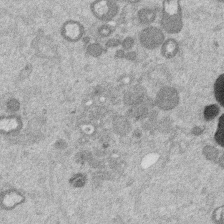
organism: Mouse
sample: Dividing mouse embryo 1 cell stage